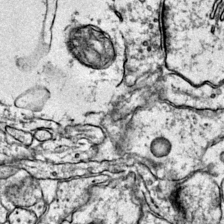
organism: Mouse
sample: Primary visual cortex